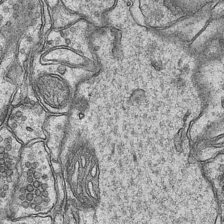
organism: Mouse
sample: CA1 Hippocampus